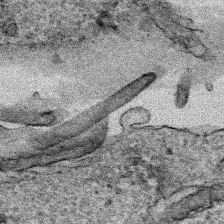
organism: Human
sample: Mitochondria in HCT116 cells